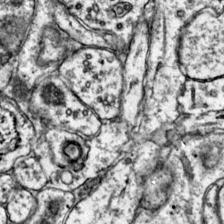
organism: Mouse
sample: Primary visual cortex